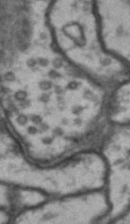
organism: Drosophila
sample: Brain